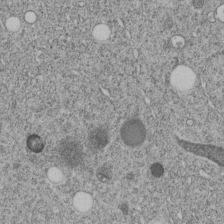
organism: C. elegans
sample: C. elegans embryo early stage